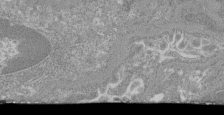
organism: Mouse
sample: Glomerulus